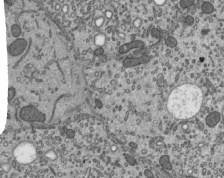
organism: Mouse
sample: Mouse epididymis efferent ductule cilia